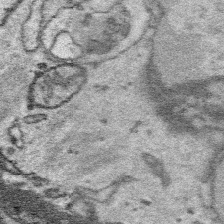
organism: Platynereis dumerilii